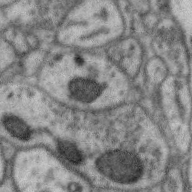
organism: Zebra finch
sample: Brain